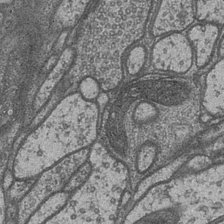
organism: Drosophila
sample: Optic medulla